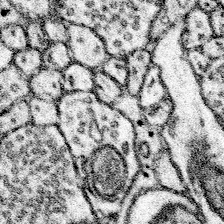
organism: Mouse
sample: Somatosensory cortex neuropil